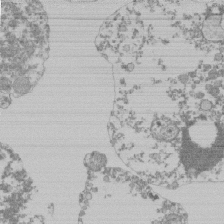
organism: Mouse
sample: Activated Pmel transgenic CD8+ T Cells